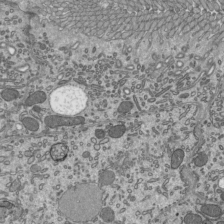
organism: Mouse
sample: Mouse epididymis efferent ductule cilia